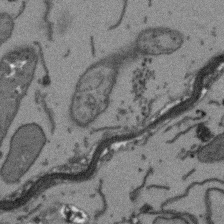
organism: Arabidopsis thaliana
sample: Root tip